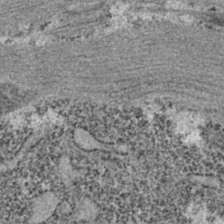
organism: C. elegans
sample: C. elegans embryo